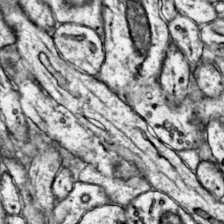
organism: Mouse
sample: Primary visual cortex